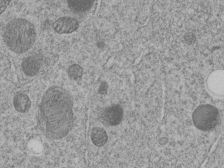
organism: C. elegans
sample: C. elegans embryo early stage